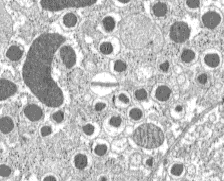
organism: C57BL Mouse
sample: Pancreatic islet